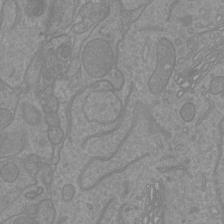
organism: Mouse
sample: Cortical neurons